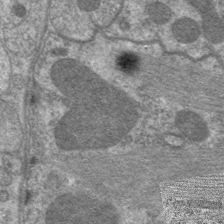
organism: C. elegans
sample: Pharynx